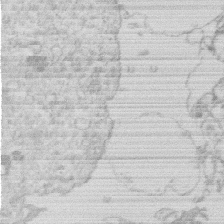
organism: Human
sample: Macrophage cells